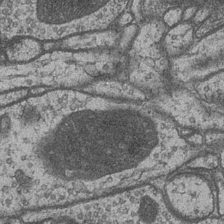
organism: Drosophila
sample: Optic medulla